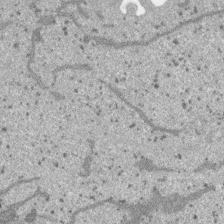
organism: Human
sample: Lung epithelial cells infected with SARS-CoV-2